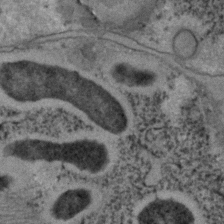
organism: C. elegans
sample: C. elegans embryo